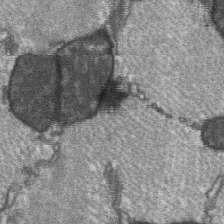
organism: C57BL Mouse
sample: Soleus